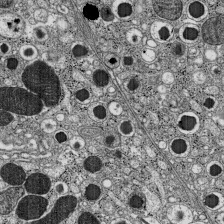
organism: C57BL Mouse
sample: Pancreatic islet